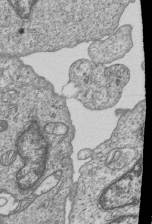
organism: Human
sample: MDA-MB-231 cells